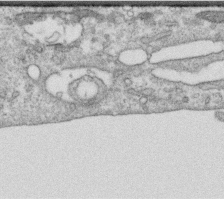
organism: Human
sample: Centriole in RPE cells